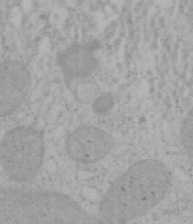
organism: Mouse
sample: OT-I killer T cells with ID8 ovarian cancer cells